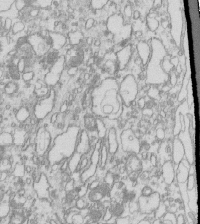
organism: Mouse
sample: Macrophages